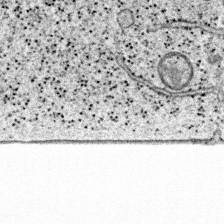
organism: Human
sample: HeLa cells